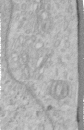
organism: Human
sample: Centriole in RPE cells